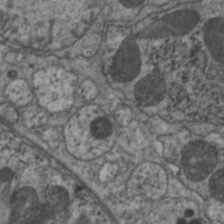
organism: C. elegans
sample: Pharynx